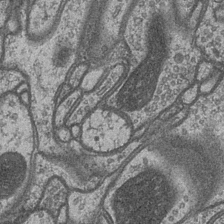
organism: Drosophila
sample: Optic medulla